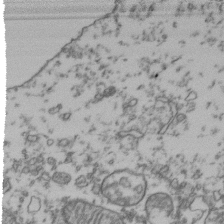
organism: Human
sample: Activated Jurkat CD4+ T cells